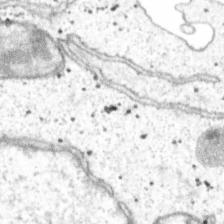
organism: Human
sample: HeLa cells